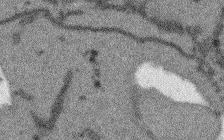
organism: Arabidopsis thaliana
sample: Root tip